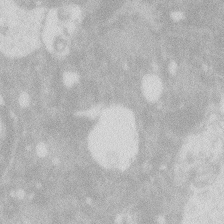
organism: Zebrafish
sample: Macrophage